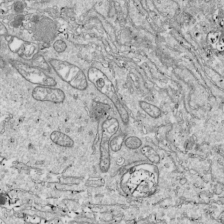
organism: Drosophila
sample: Cell division; meiosis; drosophila spermatocytes